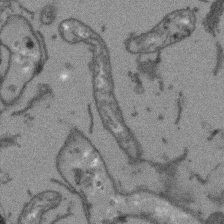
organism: Arabidopsis thaliana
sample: Root tip